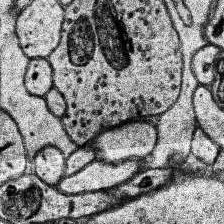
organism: Human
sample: Temporal Lobe